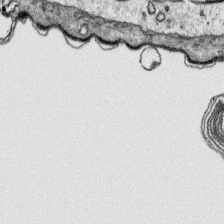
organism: Platynereis dumerilii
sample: Parapodia